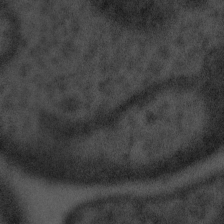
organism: Tuwongella immobilis